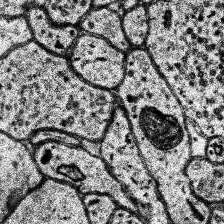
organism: Human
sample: Temporal Lobe